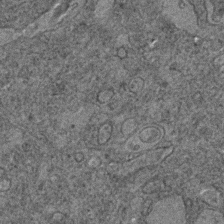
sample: Trachea